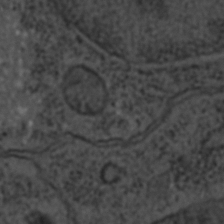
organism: C. elegans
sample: C. elegans embryo